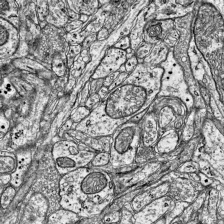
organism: Mouse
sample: Visual Cortex